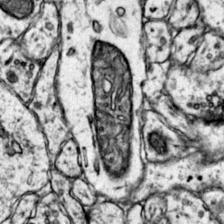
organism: Mouse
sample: Primary visual cortex